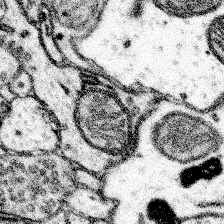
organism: Mouse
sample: Somatosensory cortex neuropil